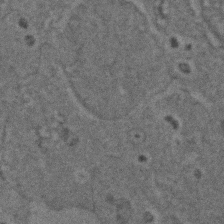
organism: Zebrafish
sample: Zebrafish embryo